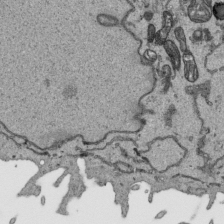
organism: Human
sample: Mitochondria in HCT116 cells